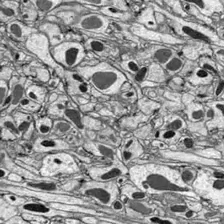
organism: Drosophila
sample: Optic lobe